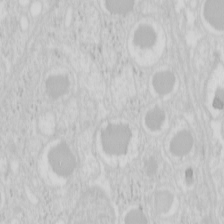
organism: Mouse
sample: Pancreas